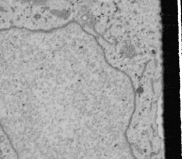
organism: Human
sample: Mitochondria in U2OS cells